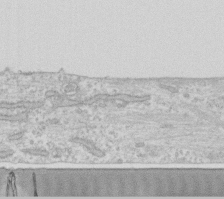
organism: Human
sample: Fibroblast cells